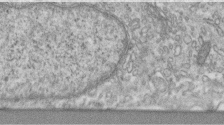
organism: Human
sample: Centriole in fibroblast cells